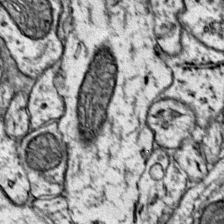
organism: Mouse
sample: Primary visual cortex